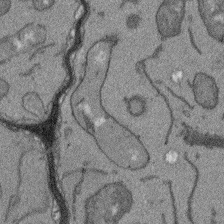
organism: Arabidopsis thaliana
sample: Root tip